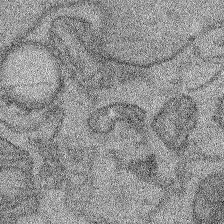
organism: Human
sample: HeLa cells